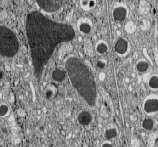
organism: C57BL Mouse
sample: Pancreatic islet